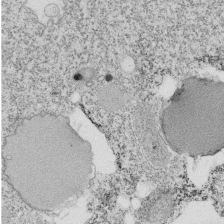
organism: Tetrahymena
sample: Cilia in tetrahymena